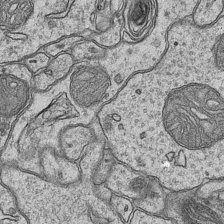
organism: Mouse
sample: CA1 Hippocampus